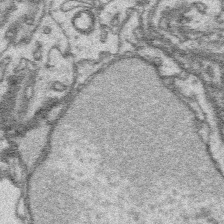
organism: Platynereis dumerilii